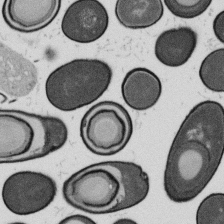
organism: B. subtilis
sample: Bacterial spore